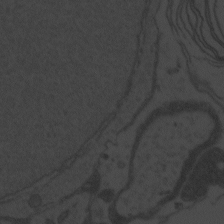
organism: Zebrafish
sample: Macrophage infected with Toxoplasma gondii